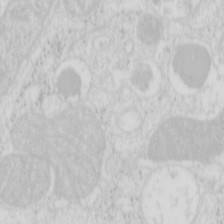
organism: Mouse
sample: Pancreas